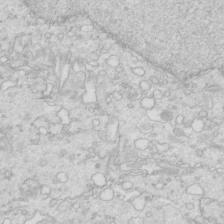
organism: Mouse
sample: Multiciliated cells